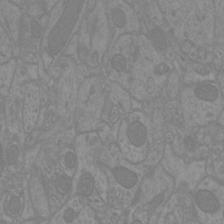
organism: Mouse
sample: Cortical neurons